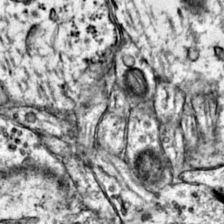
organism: Mouse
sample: Primary visual cortex